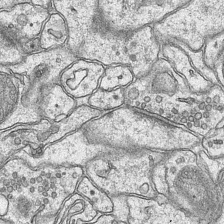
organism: Mouse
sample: CA1 Hippocampus